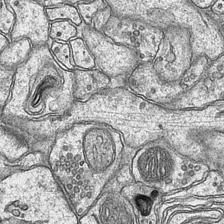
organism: Mouse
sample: CA1 Hippocampus